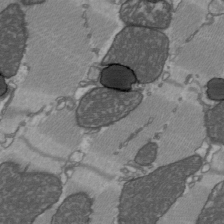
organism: C57BL Mouse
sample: Heart